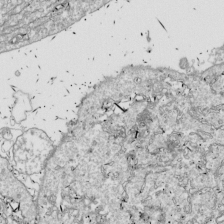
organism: Drosophila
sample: Cell division; meiosis; drosophila spermatocytes